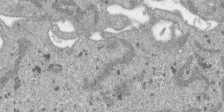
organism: Human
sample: Lung epithelial cells infected with SARS-CoV-2